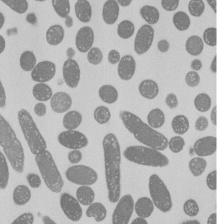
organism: E. coli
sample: Bacterial nucleoid